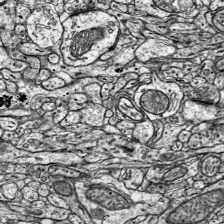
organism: Mouse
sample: Visual Cortex